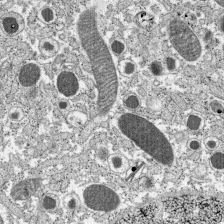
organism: C57BL Mouse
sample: Pancreatic islet